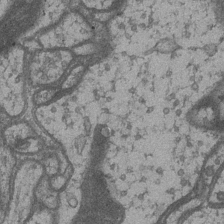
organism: Drosophila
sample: Optic medulla